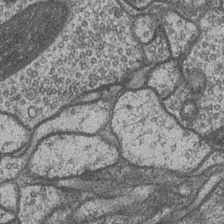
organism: Drosophila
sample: Optic medulla